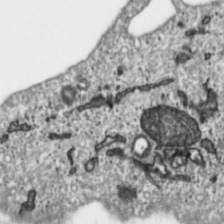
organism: Toxoplasma gondii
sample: Parasites in a vacuole inside a host cell